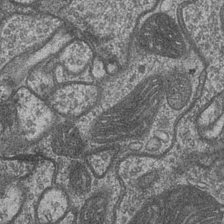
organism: Drosophila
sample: Optic medulla